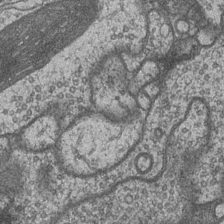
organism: Drosophila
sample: Optic medulla